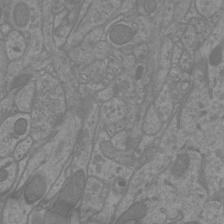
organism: Mouse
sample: Cortical neurons